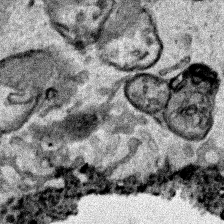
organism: Human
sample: Mitochondria in HCT116 cells